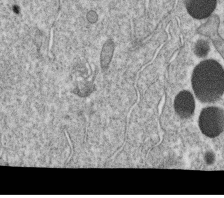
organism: C. elegans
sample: C. elegans oocyte; sperm cells